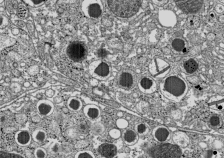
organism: C57BL Mouse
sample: Pancreatic islet